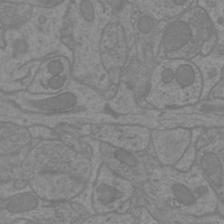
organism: Mouse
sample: Cortical neurons